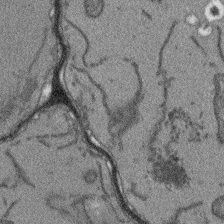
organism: Arabidopsis thaliana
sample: Root tip